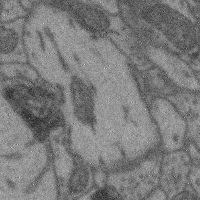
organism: Mouse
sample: Cerebral cortex